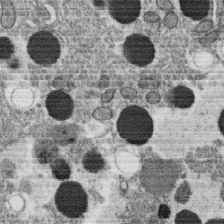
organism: C. elegans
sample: C. elegans oocyte; sperm cells